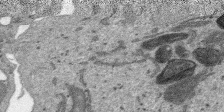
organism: Human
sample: Lung epithelial cells infected with SARS-CoV-2